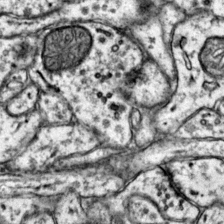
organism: Mouse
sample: Primary visual cortex